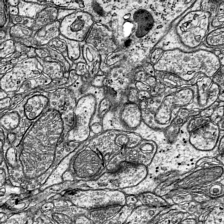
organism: Mouse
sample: Visual Cortex